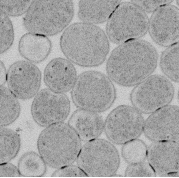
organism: E. coli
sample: Bacterial nucleoid